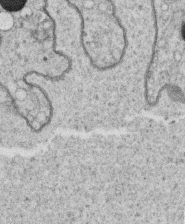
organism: C. elegans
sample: C. elegans oocyte; sperm cells